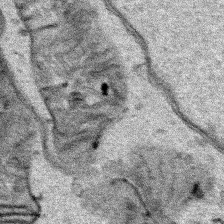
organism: Human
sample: Mitochondria in HCT116 cells